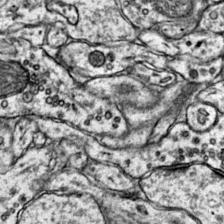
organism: Mouse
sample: Primary visual cortex